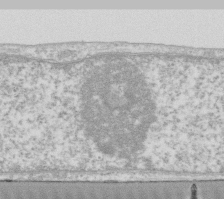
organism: Human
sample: Fibroblast cells